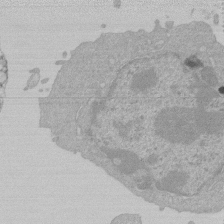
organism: Mouse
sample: Activated Pmel transgenic CD8+ T Cells